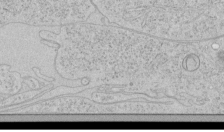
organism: Human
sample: Mitochondria in HCT116 cells